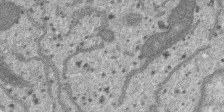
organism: Human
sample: Lung epithelial cells infected with SARS-CoV-2